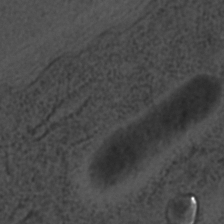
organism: C. elegans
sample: C. elegans embryo